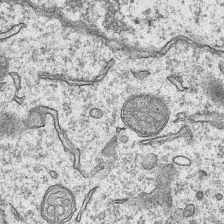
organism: Mouse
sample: CA1 Hippocampus